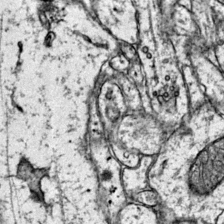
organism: Mouse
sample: Primary visual cortex